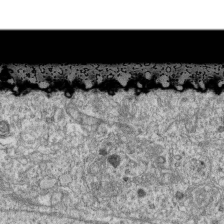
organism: Human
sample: HeLa cell HIV synapse